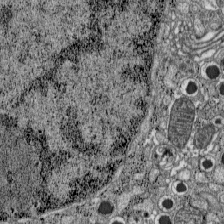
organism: C57BL Mouse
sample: Pancreatic islet